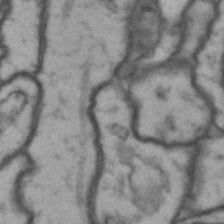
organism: Drosophila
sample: Brain